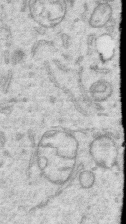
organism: Human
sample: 1205lu cells